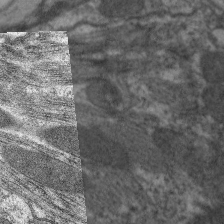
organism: C. elegans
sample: Pharynx